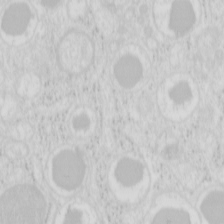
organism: Mouse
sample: Pancreas